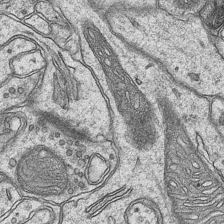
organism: Mouse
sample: CA1 Hippocampus